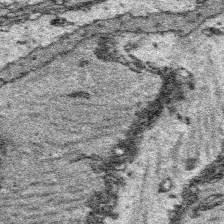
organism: Platynereis dumerilii